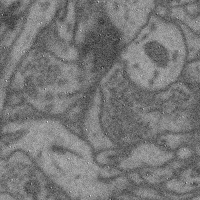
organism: Mouse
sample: Cerebral cortex